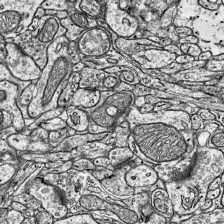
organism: Mouse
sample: Visual Cortex